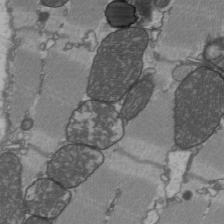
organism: C57BL Mouse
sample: Heart